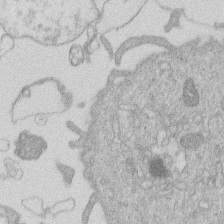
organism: Human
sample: Macrophage cells